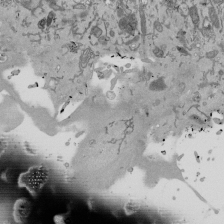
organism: Mouse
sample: ED-1 cell nuclei; centrioles